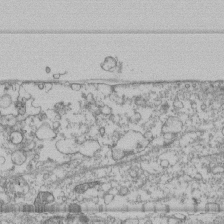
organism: Human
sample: Fibroblast cells